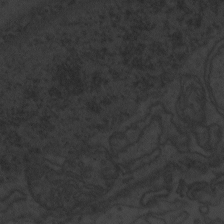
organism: Zebrafish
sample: Macrophage infected with Toxoplasma gondii